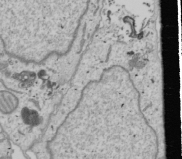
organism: Human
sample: Mitochondria in U2OS cells